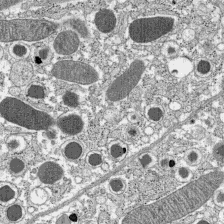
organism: C57BL Mouse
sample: Pancreatic islet